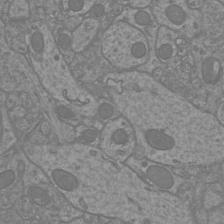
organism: Mouse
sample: Cortical neurons